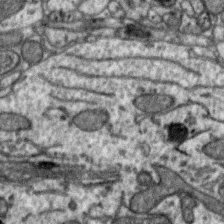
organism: Zebra finch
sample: Brain